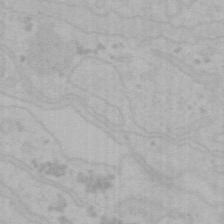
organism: Mouse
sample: Choroid plexus